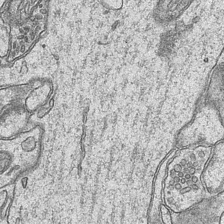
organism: Mouse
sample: CA1 Hippocampus